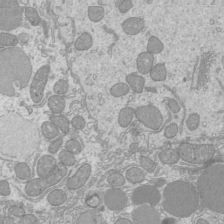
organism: Mouse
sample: Cilia; mouse epididymis